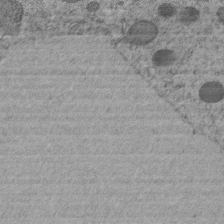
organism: C. elegans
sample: C. elegans embryo early stage